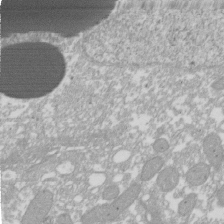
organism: Xenopus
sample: Cilia; centrioles in frog embryo cells